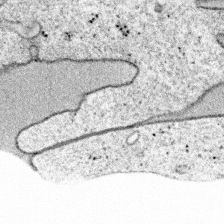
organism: Human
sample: HeLa cells